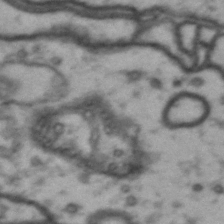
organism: Drosophila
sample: Brain